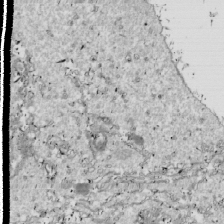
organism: Drosophila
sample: Cell division; meiosis; drosophila spermatocytes